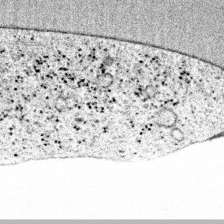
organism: Human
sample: HeLa cells